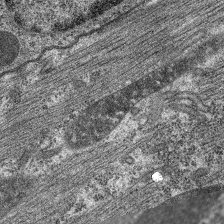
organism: C. elegans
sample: Pharynx